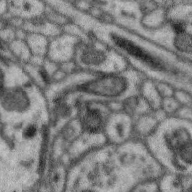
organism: Zebra finch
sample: Brain